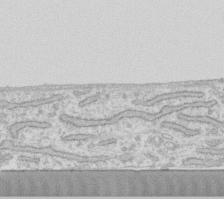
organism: Human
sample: Fibroblast cells